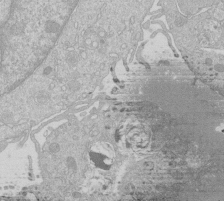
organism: Human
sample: Macrophage cells